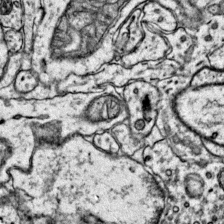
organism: Mouse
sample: Primary visual cortex